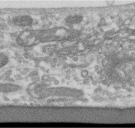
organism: Human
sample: Centriole in RPE cells